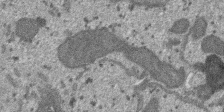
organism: Human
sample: Lung epithelial cells infected with SARS-CoV-2